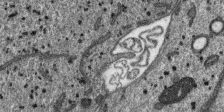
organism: Human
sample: Lung epithelial cells infected with SARS-CoV-2